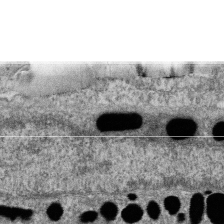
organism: Zebrafish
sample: Cilia; retinal pigment epithelium